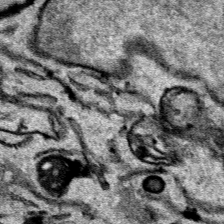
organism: Human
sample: Mitochondria in HCT116 cells